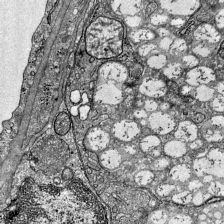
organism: Mouse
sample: Visual Cortex